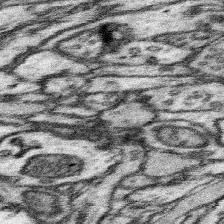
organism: Mouse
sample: Somatosensory cortex neuropil